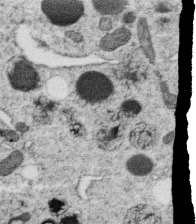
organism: C. elegans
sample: C. elegans oocyte; sperm cells